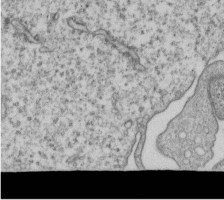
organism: Human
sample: MDA-MB-231 cells